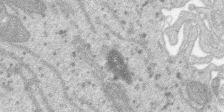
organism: Human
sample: Lung epithelial cells infected with SARS-CoV-2